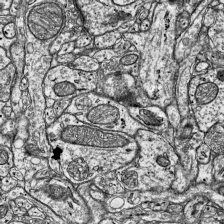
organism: Mouse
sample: Visual Cortex